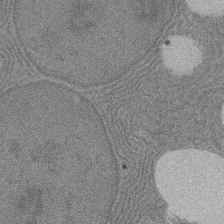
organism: Rat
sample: Salivary granule